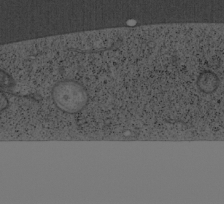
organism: African green monkey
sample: COS-7 cells